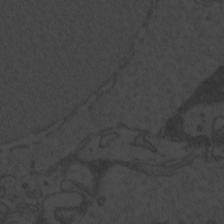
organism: Zebrafish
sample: Macrophage infected with Toxoplasma gondii